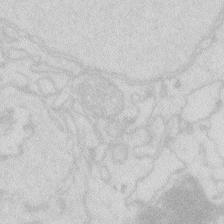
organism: Zebrafish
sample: Macrophage